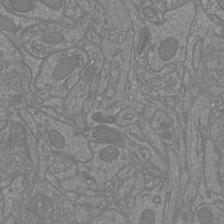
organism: Mouse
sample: Cortical neurons